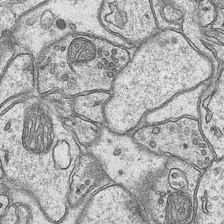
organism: Mouse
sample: CA1 Hippocampus